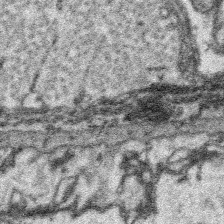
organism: Platynereis dumerilii